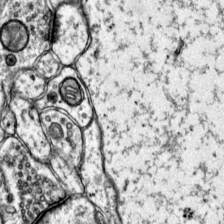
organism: Mouse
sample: Primary visual cortex